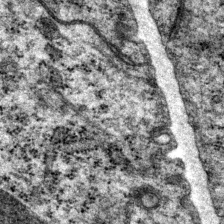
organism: P. pacificus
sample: Pharynx